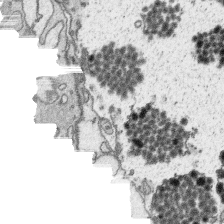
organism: Platynereis dumerilii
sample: Parapodia